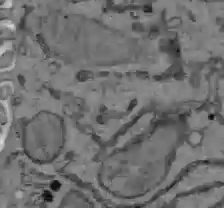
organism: C57BL Mouse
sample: Liver